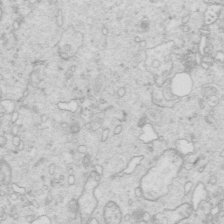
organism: Mouse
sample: Multiciliated cells